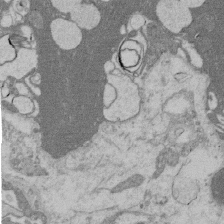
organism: Rat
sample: Salivary granule